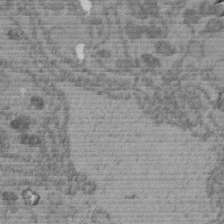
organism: C. elegans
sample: C. elegans embryo early stage